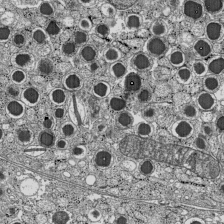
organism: C57BL Mouse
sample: Pancreatic islet